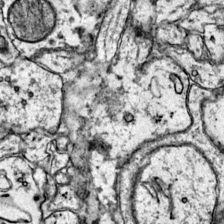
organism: Mouse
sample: Primary visual cortex